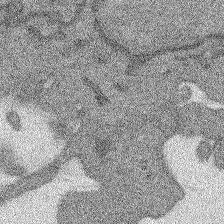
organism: Human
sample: HeLa cells